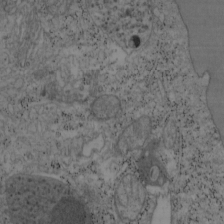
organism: Mouse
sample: OT-I killer T cells with ID8 ovarian cancer cells